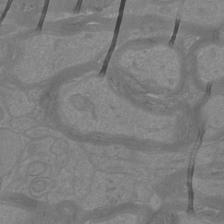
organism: Mouse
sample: Cortical neurons